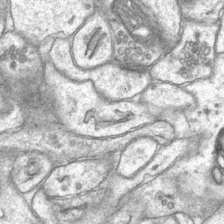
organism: Mouse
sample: CA1 Hippocampus